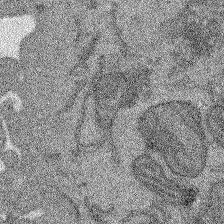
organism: Human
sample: HeLa cells